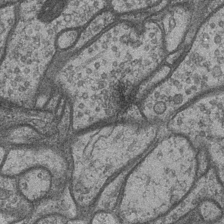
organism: Drosophila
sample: Optic medulla